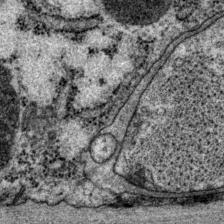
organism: P. pacificus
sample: Pharynx